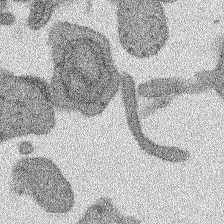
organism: Human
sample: HeLa cells